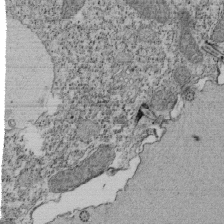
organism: Tetrahymena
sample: Cilia in tetrahymena